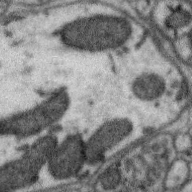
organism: Zebra finch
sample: Brain